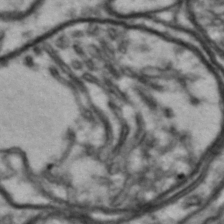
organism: Drosophila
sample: Brain